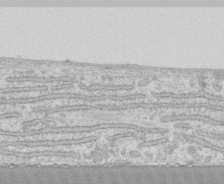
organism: Human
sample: CRL-1474